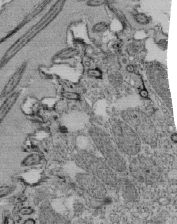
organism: Tetrahymena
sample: Cilia in tetrahymena